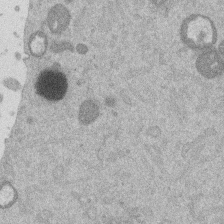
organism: Mouse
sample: Dividing mouse embryo 1 cell stage